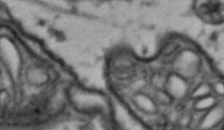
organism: Drosophila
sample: Brain